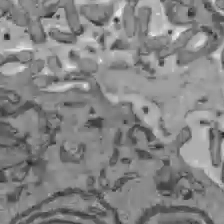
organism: C57BL Mouse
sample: Liver